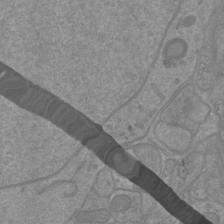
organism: Mouse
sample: Cortical neurons